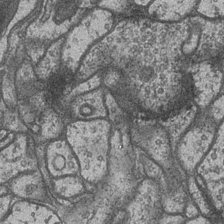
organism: Drosophila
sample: Optic medulla